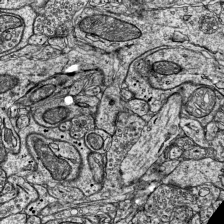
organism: Mouse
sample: Visual Cortex